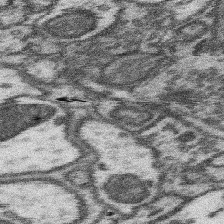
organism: Mouse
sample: Somatosensory cortex neuropil